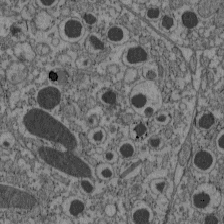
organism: C57BL Mouse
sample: Pancreatic islet